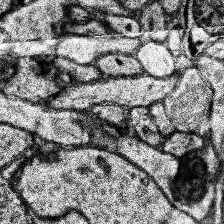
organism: Human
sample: Temporal Lobe